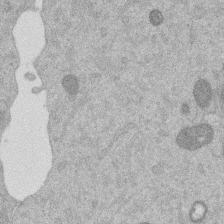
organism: Mouse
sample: Dividing mouse embryo 1 cell stage